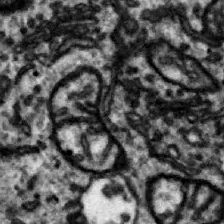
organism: Human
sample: HeLa cells